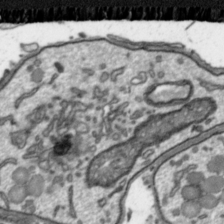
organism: Toxoplasma gondii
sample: Parasites in a vacuole inside a host cell